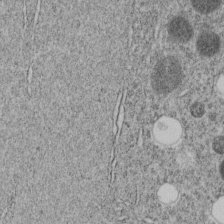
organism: C. elegans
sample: C. elegans embryo early stage